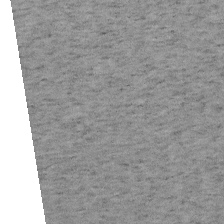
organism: Mouse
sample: OT-I killer T cells with ID8 ovarian cancer cells